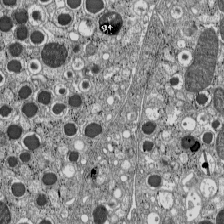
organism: C57BL Mouse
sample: Pancreatic islet